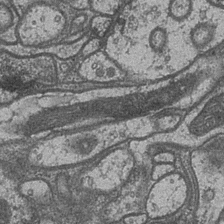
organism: Drosophila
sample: Optic medulla